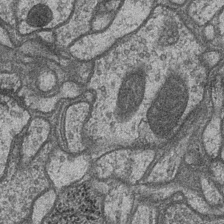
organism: Drosophila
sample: Optic medulla